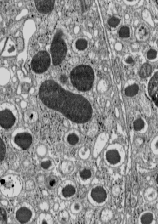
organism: C57BL Mouse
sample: Pancreatic islet